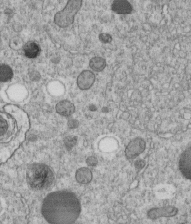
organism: C. elegans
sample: C. elegans embryo early stage